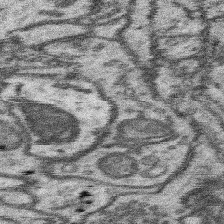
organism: Mouse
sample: Somatosensory cortex neuropil